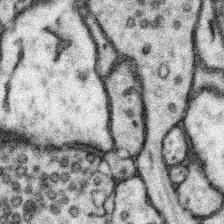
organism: Mouse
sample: Somatosensory cortex neuropil